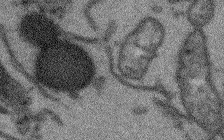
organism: Arabidopsis thaliana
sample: Root tip